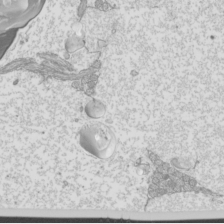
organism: Mouse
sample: Cilia; mouse epididymis